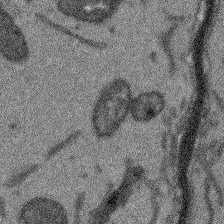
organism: Arabidopsis thaliana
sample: Root tip